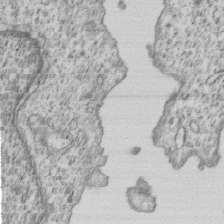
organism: Human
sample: MDA-MB-231 cells